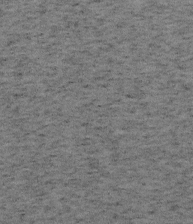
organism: Mouse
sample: OT-I killer T cells with ID8 ovarian cancer cells